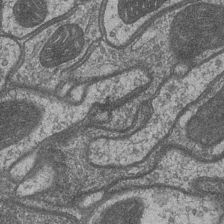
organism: Drosophila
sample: Optic medulla